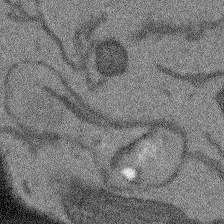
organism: Arabidopsis thaliana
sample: Root tip